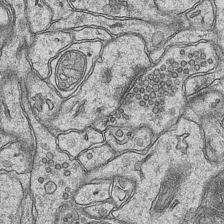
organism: Mouse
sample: CA1 Hippocampus